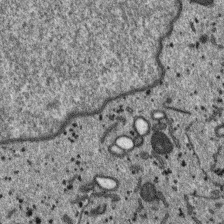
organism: Human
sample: Lung epithelial cells infected with SARS-CoV-2